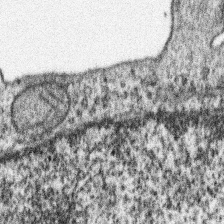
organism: Human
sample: HeLa cells